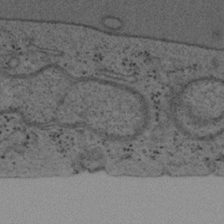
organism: Human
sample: HeLa cells